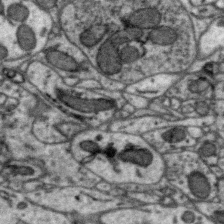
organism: Zebra finch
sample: Brain